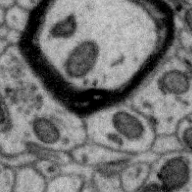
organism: Zebra finch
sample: Brain